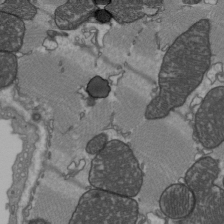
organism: C57BL Mouse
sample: Heart